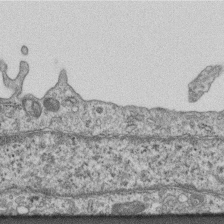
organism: Mouse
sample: Centriole in ependymal cells